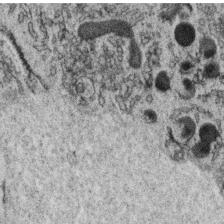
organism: C. elegans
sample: C. elegans oocyte; sperm cells